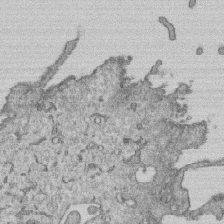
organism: Human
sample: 1205lu cells